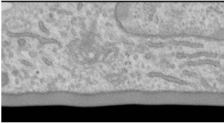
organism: Human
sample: Cilia; basal body in RPE cells